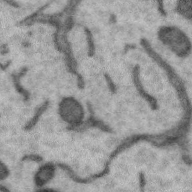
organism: Zebra finch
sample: Brain